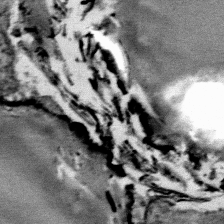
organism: Mouse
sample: Mouse Salivary gland